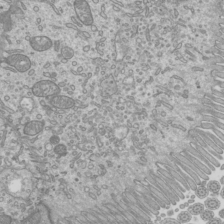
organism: Mouse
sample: Cilia; mouse epididymis